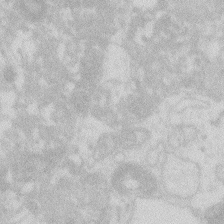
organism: Zebrafish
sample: Macrophage